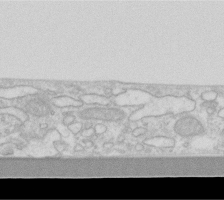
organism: Human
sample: Fibroblast cells